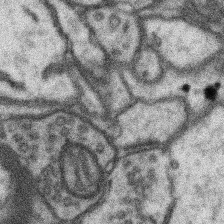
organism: Mouse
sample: Somatosensory cortex neuropil